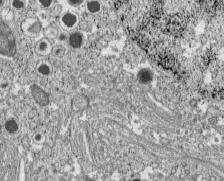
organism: C57BL Mouse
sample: Pancreatic islet